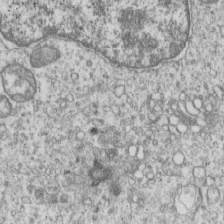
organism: Human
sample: MDA-MB-231 cells